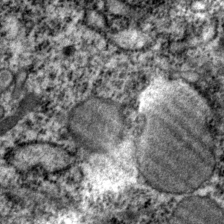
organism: P. pacificus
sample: Pharynx